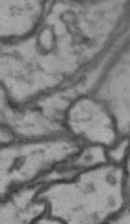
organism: Drosophila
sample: Brain